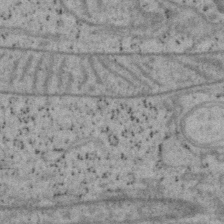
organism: Human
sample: HeLa cells